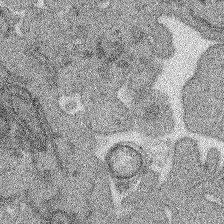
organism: Human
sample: HeLa cells